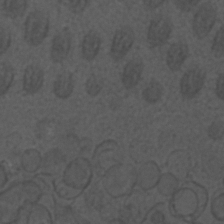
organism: C. elegans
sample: C. elegans embryo